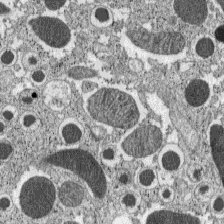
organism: C57BL Mouse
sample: Pancreatic islet